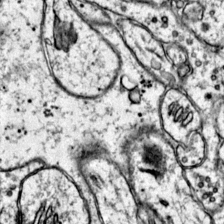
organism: Mouse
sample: Primary visual cortex